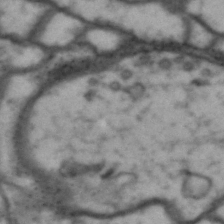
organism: Drosophila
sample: Brain